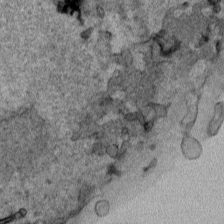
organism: Human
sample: Mitochondria in HCT116 cells